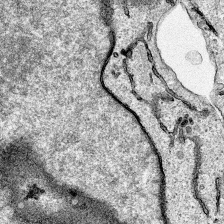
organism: Human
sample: Mitochondria in HCT116 cells